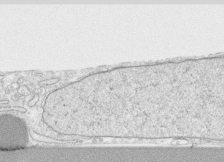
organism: Human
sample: CRL-1474